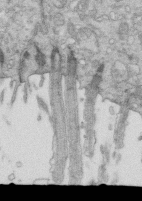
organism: Mouse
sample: Multiciliated cells